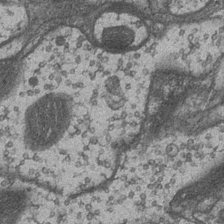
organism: Drosophila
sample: Optic medulla